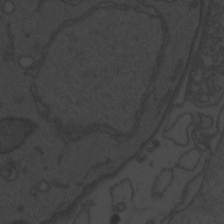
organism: Zebrafish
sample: Macrophage infected with Toxoplasma gondii